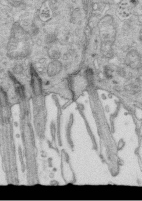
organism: Mouse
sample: Multiciliated cells